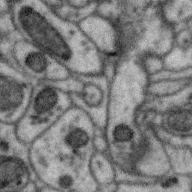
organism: Zebra finch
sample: Brain